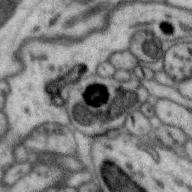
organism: Zebra finch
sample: Brain